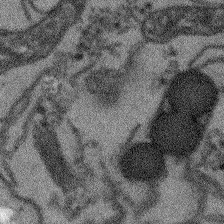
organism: Arabidopsis thaliana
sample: Root tip